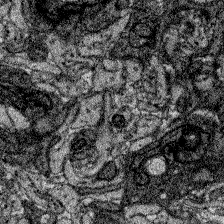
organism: Zebrafish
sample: Larval olfactory bulb